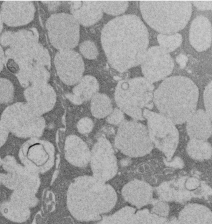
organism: Rat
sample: Salivary granule